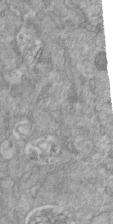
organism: Mouse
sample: ED-1 cell nuclei; centrioles